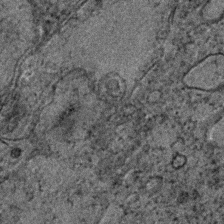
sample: Trachea